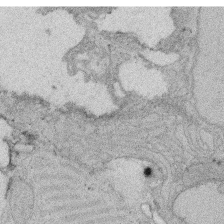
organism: Rat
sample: Salivary granule